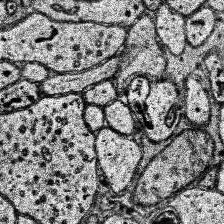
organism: Human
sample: Temporal Lobe